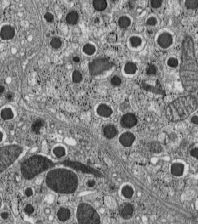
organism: C57BL Mouse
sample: Pancreatic islet